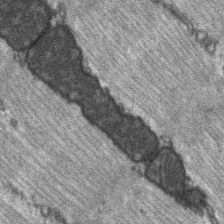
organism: C57BL Mouse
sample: Soleus